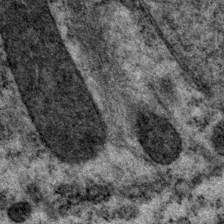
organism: P. pacificus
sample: Pharynx